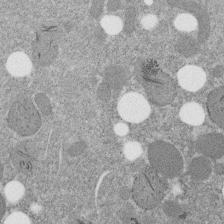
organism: C. elegans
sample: C. elegans embryo early stage